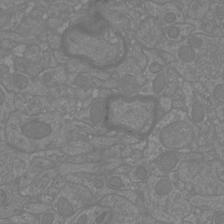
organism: Mouse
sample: Cortical neurons